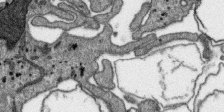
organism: Human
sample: Lung epithelial cells, uninfected (mock) control